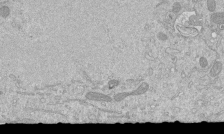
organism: Mouse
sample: ED-1 cell nuclei; centrioles